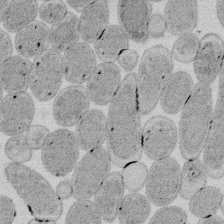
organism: E. coli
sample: Bacterial nucleoid